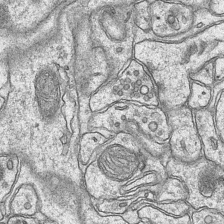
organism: Mouse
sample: CA1 Hippocampus